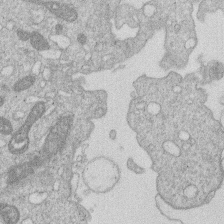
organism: Human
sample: Macrophage cells